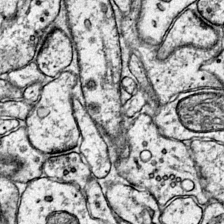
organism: Mouse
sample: Primary visual cortex